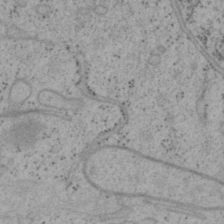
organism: Human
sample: HeLa cells